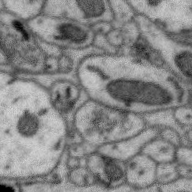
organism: Zebra finch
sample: Brain